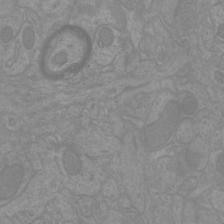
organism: Mouse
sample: Cortical neurons